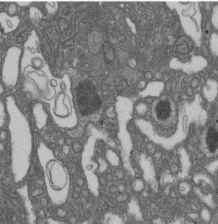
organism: Drosophila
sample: Nephrocyte